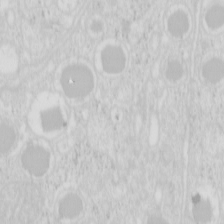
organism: Mouse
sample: Pancreas